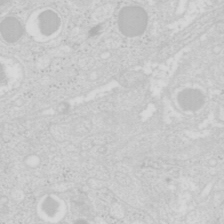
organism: Mouse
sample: Pancreas